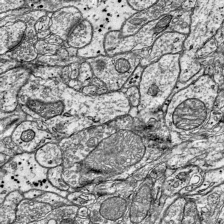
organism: Mouse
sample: Visual Cortex